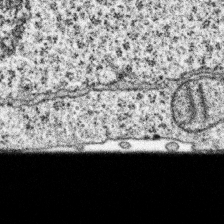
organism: Human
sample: HeLa cells